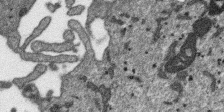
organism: Human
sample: Lung epithelial cells infected with SARS-CoV-2